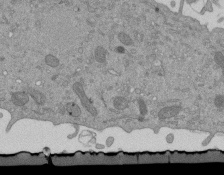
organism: Mouse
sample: ED-1 cell nuclei; centrioles